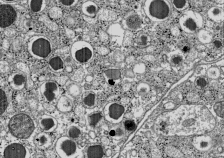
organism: C57BL Mouse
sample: Pancreatic islet